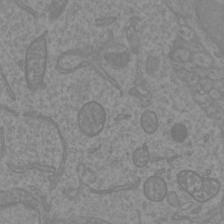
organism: Mouse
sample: Cortical neurons